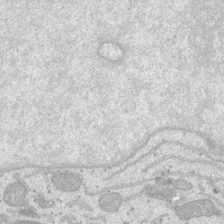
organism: Human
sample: Lung epithelial cells infected with SARS-CoV-2